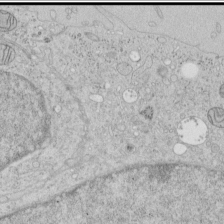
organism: Human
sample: Mitochondria in HCT116 cells